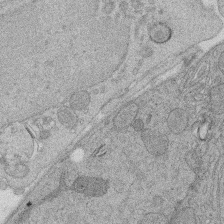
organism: Rat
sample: Salivary granule